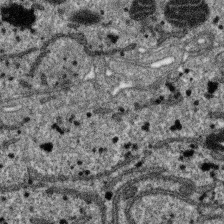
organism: Human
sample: Lung epithelial cells infected with SARS-CoV-2